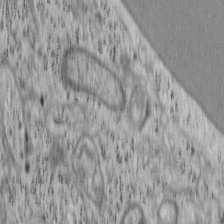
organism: Human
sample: HeLa cells